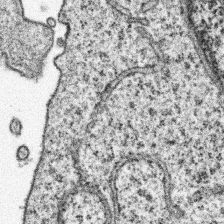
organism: Human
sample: HeLa cells